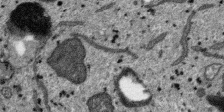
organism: Human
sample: Lung epithelial cells, uninfected (mock) control